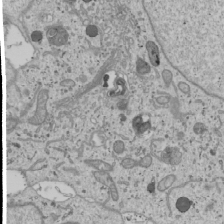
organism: Human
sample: Mitochondria in U2OS cells